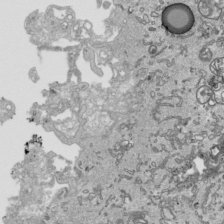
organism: Human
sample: Mitochondria in HCT116 cells